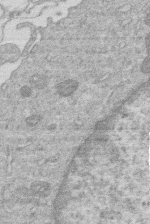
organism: Human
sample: Macrophage cells